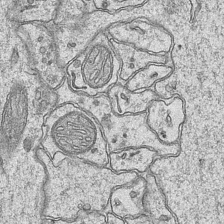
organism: Mouse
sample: CA1 Hippocampus